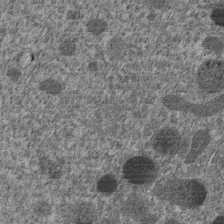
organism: C. elegans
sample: C. elegans embryo early stage